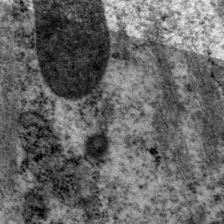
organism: P. pacificus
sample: Pharynx